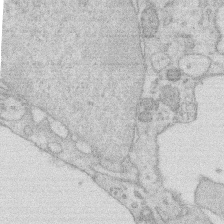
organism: Rat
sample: Salivary granule